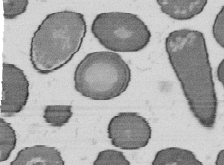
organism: B. subtilis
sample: Bacterial spore